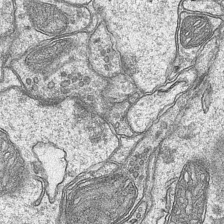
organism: Mouse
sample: CA1 Hippocampus